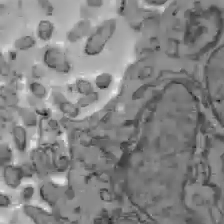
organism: C57BL Mouse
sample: Liver